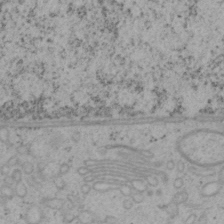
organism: Human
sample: HeLa cells